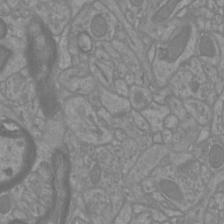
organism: Mouse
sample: Cortical neurons